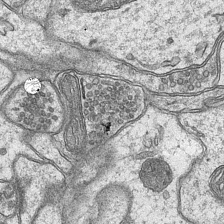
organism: Mouse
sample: CA1 Hippocampus